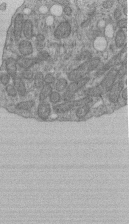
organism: Human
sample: Retinal organoid Rod and Cone cells